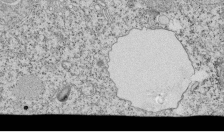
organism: Tetrahymena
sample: Cilia in tetrahymena